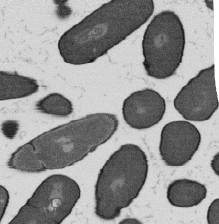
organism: B. subtilis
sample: Bacterial spore